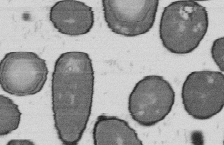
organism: B. subtilis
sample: Bacterial spore